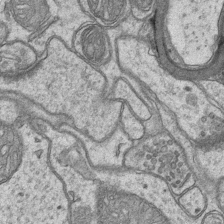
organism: Mouse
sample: CA1 Hippocampus